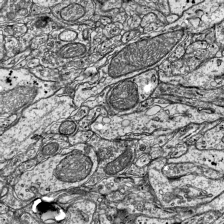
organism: Mouse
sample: Visual Cortex